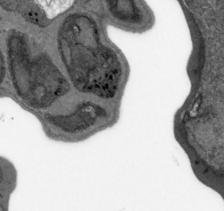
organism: Plasmodium falciparum